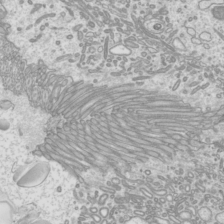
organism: Mouse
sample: Cilia; mouse epididymis